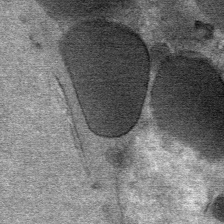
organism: Mouse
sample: Mouse Salivary gland